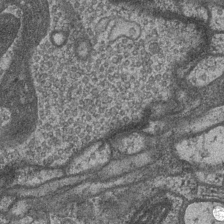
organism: Drosophila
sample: Optic medulla